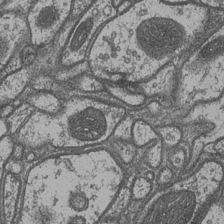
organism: Drosophila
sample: Optic medulla